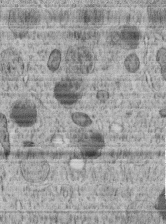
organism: C. elegans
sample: C. elegans embryo early stage